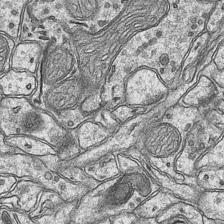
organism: Mouse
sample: CA1 Hippocampus